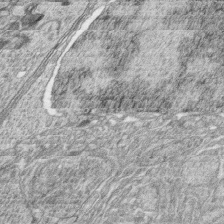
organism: Zebrafish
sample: synaptic ribbons in rod cells and cone cells